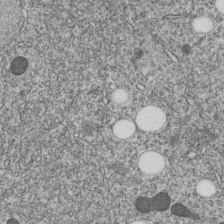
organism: C. elegans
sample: C. elegans embryo early stage